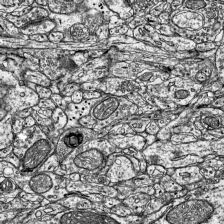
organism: Mouse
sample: Visual Cortex